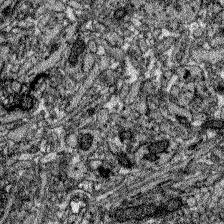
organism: Zebrafish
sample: Larval olfactory bulb